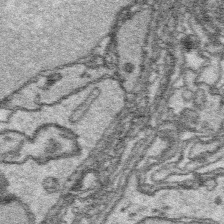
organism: Platynereis dumerilii